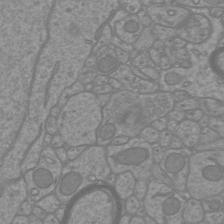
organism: Mouse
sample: Cortical neurons